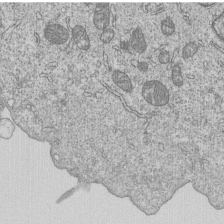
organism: Human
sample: MDA-MB-231 cells